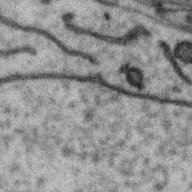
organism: Zebra finch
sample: Brain